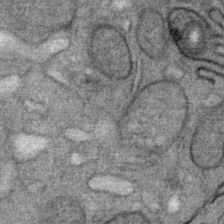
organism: Mouse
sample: Mouse Salivary gland